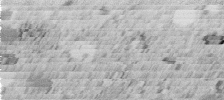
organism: C. elegans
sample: C. elegans embryo early stage